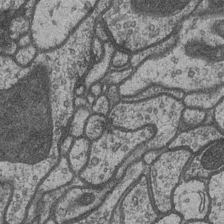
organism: Drosophila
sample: Optic medulla